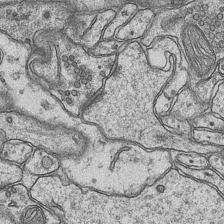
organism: Mouse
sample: CA1 Hippocampus